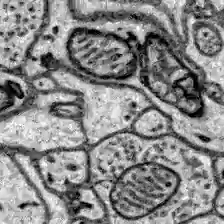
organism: Zebrafish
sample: Brain